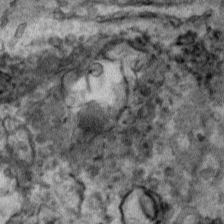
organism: Human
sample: Mitochondria in HCT116 cells